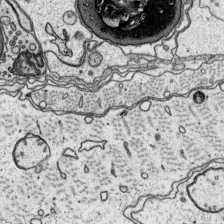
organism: Platynereis dumerilii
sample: Parapodia